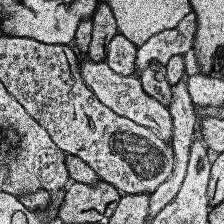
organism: Human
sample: Temporal Lobe